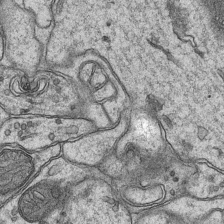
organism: Mouse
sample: CA1 Hippocampus